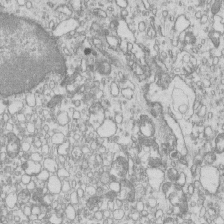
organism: Mouse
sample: Macrophages